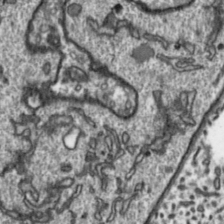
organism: Toxoplasma gondii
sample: Parasites in a vacuole inside a host cell